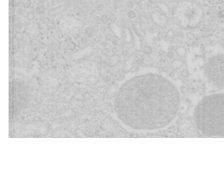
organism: Mouse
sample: Pancreas